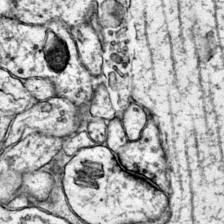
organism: Mouse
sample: Primary visual cortex